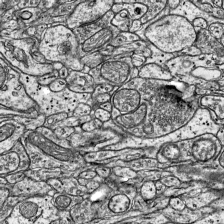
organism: Mouse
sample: Visual Cortex